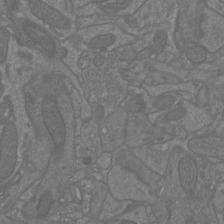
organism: Mouse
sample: Cortical neurons